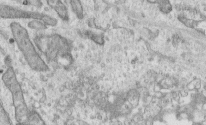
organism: Human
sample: Centriole in RPE cells